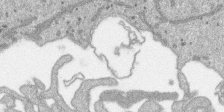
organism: Human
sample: Lung epithelial cells infected with SARS-CoV-2